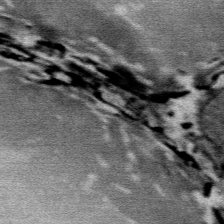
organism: Mouse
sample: Mouse Salivary gland